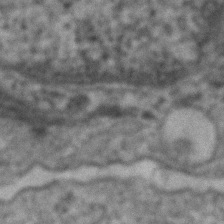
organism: Human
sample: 1205lu cells